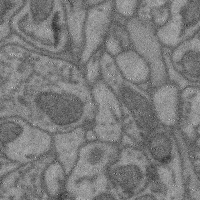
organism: Mouse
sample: Cerebral cortex